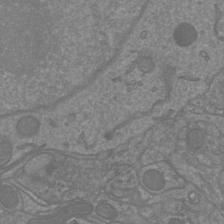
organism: Mouse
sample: Cortical neurons